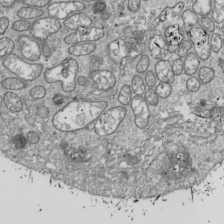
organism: Drosophila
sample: Cell division; meiosis; drosophila spermatocytes